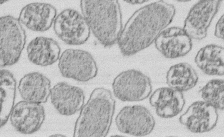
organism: E. coli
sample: Bacterial nucleoid